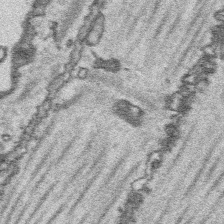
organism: Platynereis dumerilii